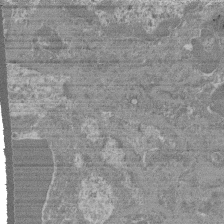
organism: Mouse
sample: Glomerulus